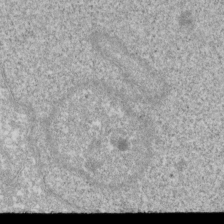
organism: Xenopus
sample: Cilia; centrioles in frog embryo cells